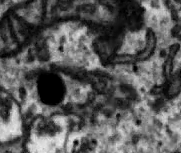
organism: Human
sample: HeLa cells